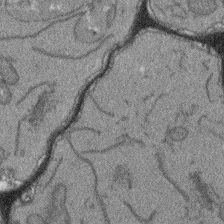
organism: Arabidopsis thaliana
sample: Root tip